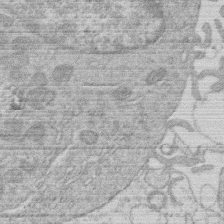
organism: Human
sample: Macrophage cells